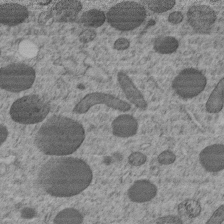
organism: C. elegans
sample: C. elegans embryo early stage